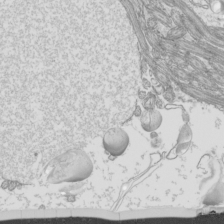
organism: Mouse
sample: Cilia; mouse epididymis